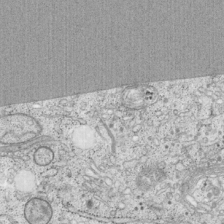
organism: African green monkey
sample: COS-7 cells